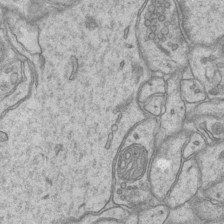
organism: Mouse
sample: CA1 Hippocampus